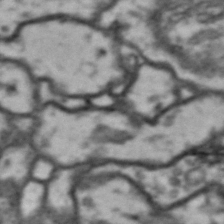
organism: Drosophila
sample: Brain